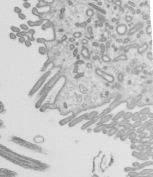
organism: Mouse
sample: Mouse epididymis efferent ductule cilia